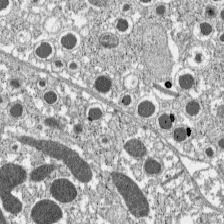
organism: C57BL Mouse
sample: Pancreatic islet